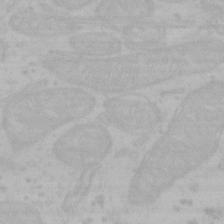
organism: Mouse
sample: Choroid plexus